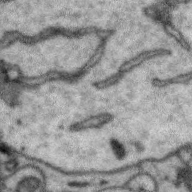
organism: Zebra finch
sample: Brain